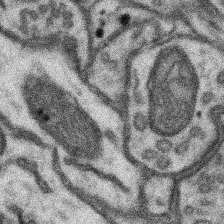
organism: Mouse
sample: Somatosensory cortex neuropil